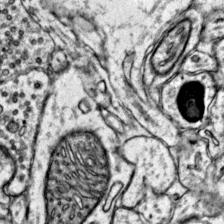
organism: Mouse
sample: Primary visual cortex